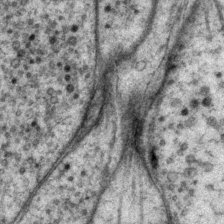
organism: P. pacificus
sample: Pharynx